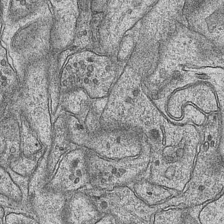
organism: Mouse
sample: CA1 Hippocampus